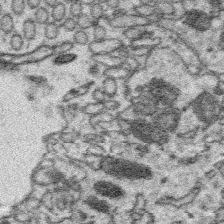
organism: Platynereis dumerilii